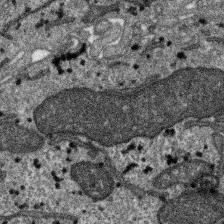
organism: Human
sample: Lung epithelial cells infected with SARS-CoV-2